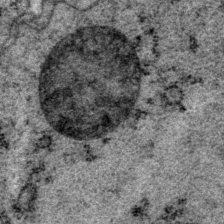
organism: P. pacificus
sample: Pharynx